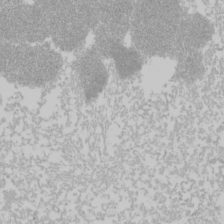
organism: Mouse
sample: Cancer cell death in ED-1 cells